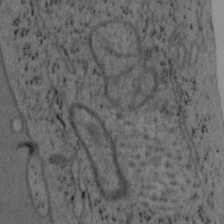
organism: Human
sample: HeLa cells